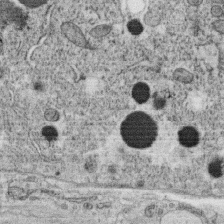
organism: C. elegans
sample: C. elegans oocyte; sperm cells